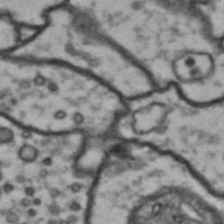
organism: Drosophila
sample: Brain